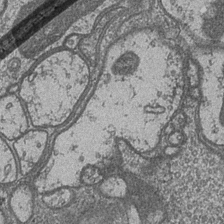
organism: Drosophila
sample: Optic medulla